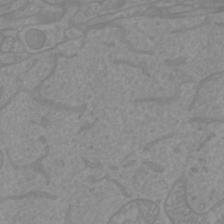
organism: Mouse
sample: Cortical neurons